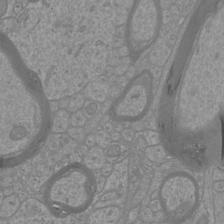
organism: Mouse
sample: Cortical neurons